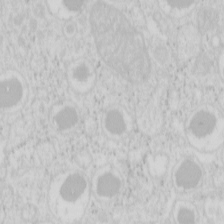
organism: Mouse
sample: Pancreas